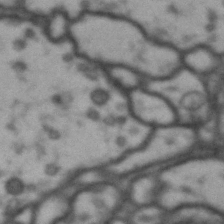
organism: Drosophila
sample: Brain